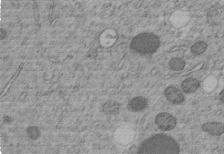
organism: C. elegans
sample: C. elegans embryo early stage